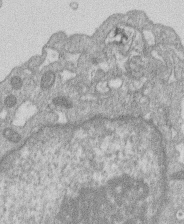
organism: Human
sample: Macrophage cells